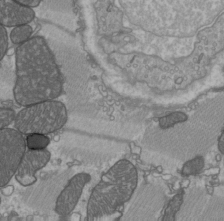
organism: C57BL Mouse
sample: Heart